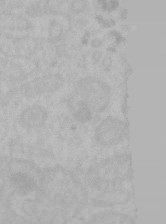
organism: Mouse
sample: Choroid plexus